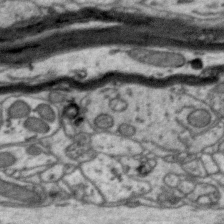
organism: Zebra finch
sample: Brain